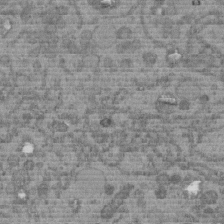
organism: C. elegans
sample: C. elegans embryo early stage